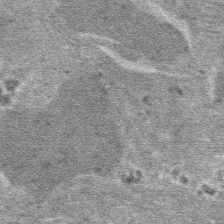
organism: Mouse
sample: Mouse hepatocytes